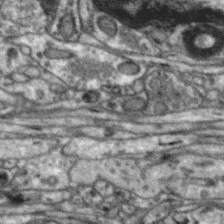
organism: Zebra finch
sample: Brain